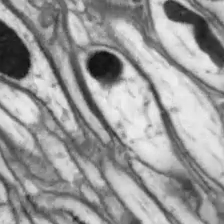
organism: Drosophila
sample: Optic lobe